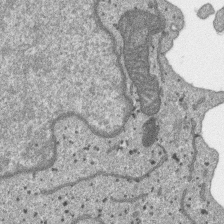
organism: Human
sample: Lung epithelial cells infected with SARS-CoV-2